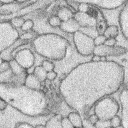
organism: Rabbit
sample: Retina